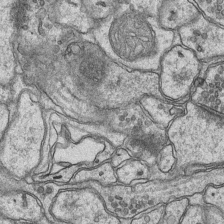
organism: Mouse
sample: CA1 Hippocampus